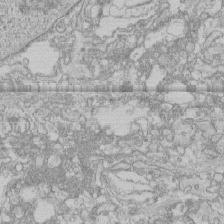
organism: Human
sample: CRL-1474